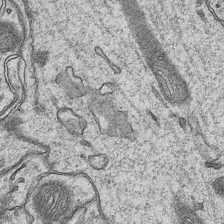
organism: Mouse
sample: CA1 Hippocampus